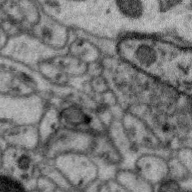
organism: Zebra finch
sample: Brain